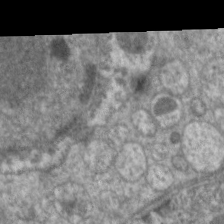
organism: C. elegans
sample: Pharynx